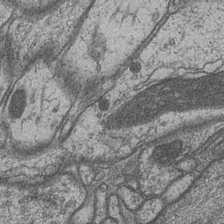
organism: Drosophila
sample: Optic medulla